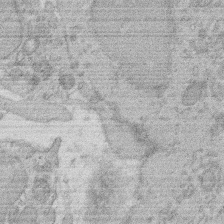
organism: Rat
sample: Salivary granule